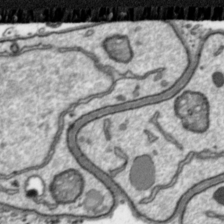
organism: Toxoplasma gondii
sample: Parasites in a vacuole inside a host cell